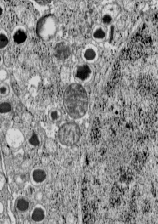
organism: C57BL Mouse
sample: Pancreatic islet